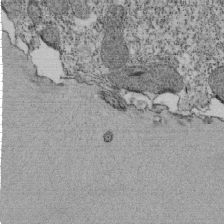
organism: Tetrahymena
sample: Cilia in tetrahymena